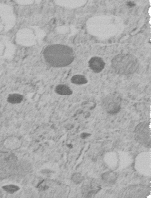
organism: C. elegans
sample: C. elegans embryo early stage